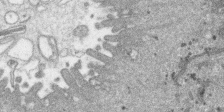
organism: Human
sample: Lung epithelial cells infected with SARS-CoV-2